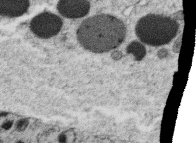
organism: C. elegans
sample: C. elegans oocyte; sperm cells